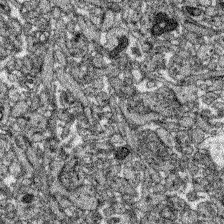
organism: Zebrafish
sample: Larval olfactory bulb